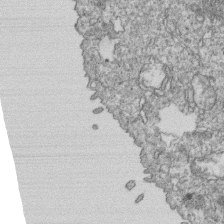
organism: Human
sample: HeLa cell HIV synapse